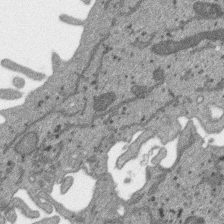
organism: Human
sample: Lung epithelial cells infected with SARS-CoV-2